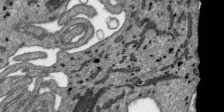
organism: Human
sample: Lung epithelial cells, uninfected (mock) control